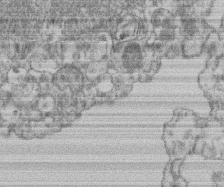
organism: Mouse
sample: T cell stromal cell synapse